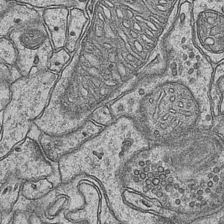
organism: Mouse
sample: CA1 Hippocampus